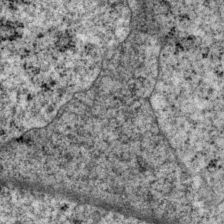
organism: P. pacificus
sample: Pharynx